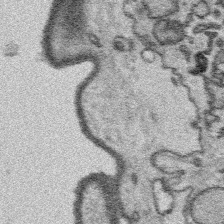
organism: Platynereis dumerilii